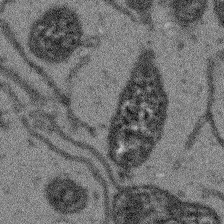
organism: Arabidopsis thaliana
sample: Root tip